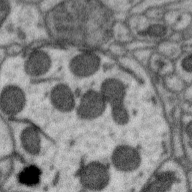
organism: Zebra finch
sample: Brain